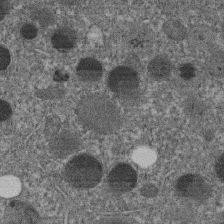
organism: C. elegans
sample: C. elegans embryo early stage